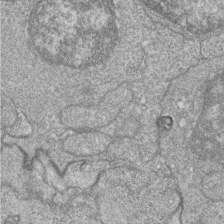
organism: Zebrafish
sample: Cilia; retinal pigment epithelium